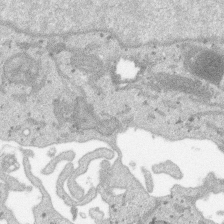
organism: Human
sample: Lung epithelial cells infected with SARS-CoV-2